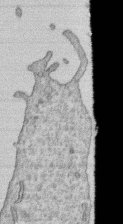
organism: Human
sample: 1205lu cells